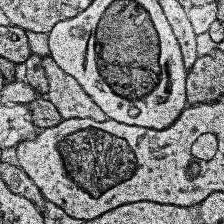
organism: Human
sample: Temporal Lobe